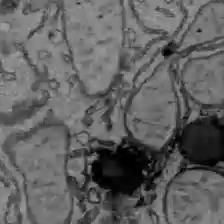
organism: C57BL Mouse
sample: Liver